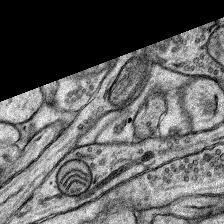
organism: Rat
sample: Hippocampus